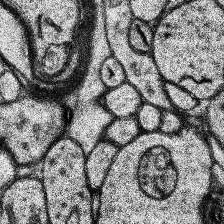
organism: Human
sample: Temporal Lobe